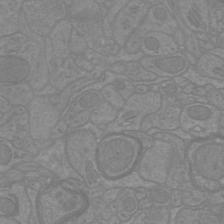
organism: Mouse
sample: Cortical neurons